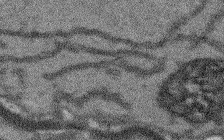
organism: Arabidopsis thaliana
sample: Root tip